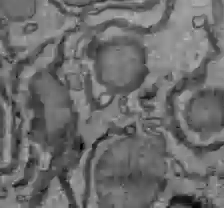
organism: C57BL Mouse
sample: Liver